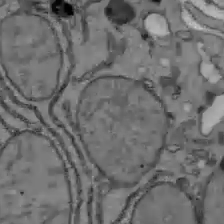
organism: C57BL Mouse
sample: Liver